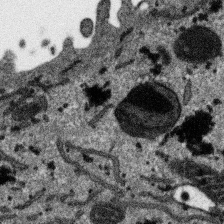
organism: Human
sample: Lung epithelial cells infected with SARS-CoV-2